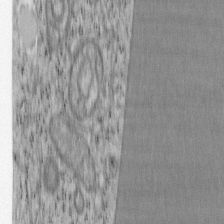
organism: Human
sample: HeLa cells